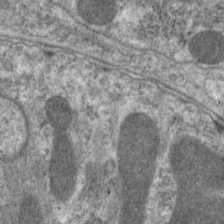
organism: C. elegans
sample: Pharynx